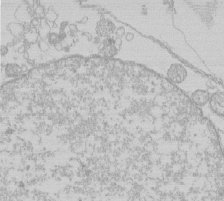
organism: Human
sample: Macrophage cells